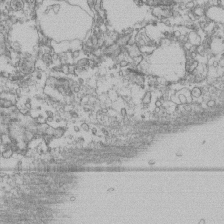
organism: Human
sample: Fibroblast cells